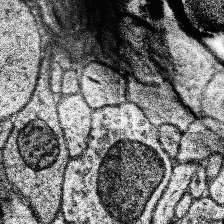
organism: Human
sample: Temporal Lobe